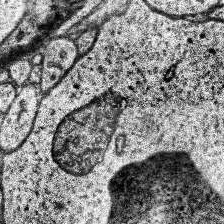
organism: Human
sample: Temporal Lobe